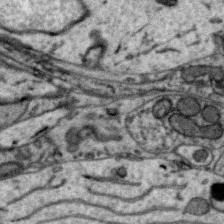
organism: Zebra finch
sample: Brain